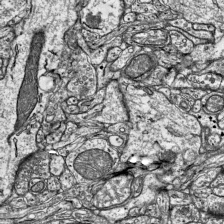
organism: Mouse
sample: Visual Cortex